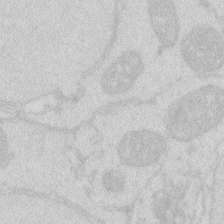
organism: Zebrafish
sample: Macrophage